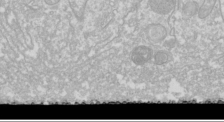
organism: Drosophila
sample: Cell division; meiosis; drosophila spermatocytes